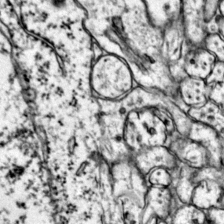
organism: Mouse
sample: Primary visual cortex